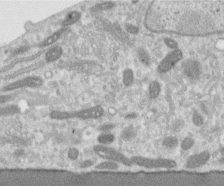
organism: Human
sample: Centriole in RPE cells